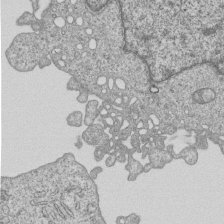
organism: Human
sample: MDA-MB-231 cells